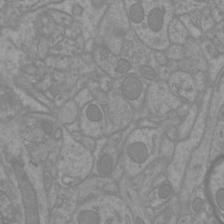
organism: Mouse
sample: Cortical neurons